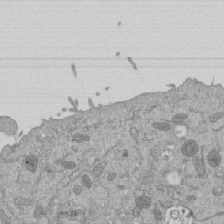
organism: Mouse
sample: ED-1 cell nuclei; centrioles